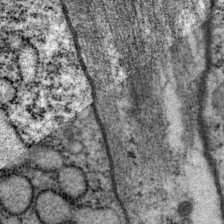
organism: P. pacificus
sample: Pharynx